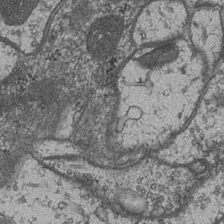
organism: Drosophila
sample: Optic medulla